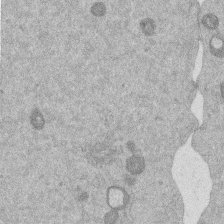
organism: Mouse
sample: Dividing mouse embryo 1 cell stage